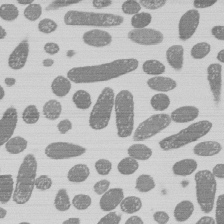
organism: E. coli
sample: Bacterial nucleoid